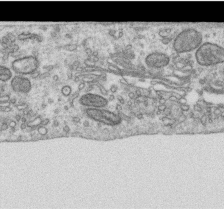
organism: Human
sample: Centriole in RPE cells